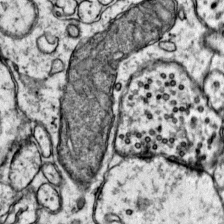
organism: Mouse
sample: Primary visual cortex